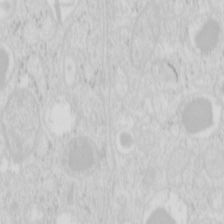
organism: Mouse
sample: Pancreas